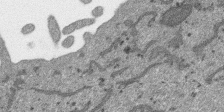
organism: Human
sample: Lung epithelial cells infected with SARS-CoV-2